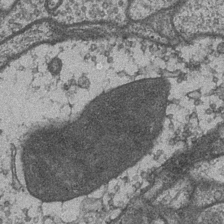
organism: Drosophila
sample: Optic medulla